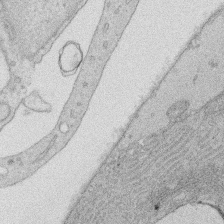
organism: Rat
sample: Salivary granule